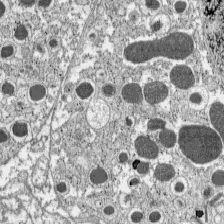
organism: C57BL Mouse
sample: Pancreatic islet